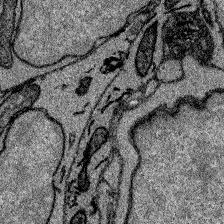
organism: Zebrafish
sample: Larval olfactory bulb